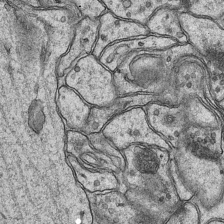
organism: Mouse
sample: CA1 Hippocampus